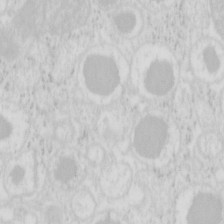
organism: Mouse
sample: Pancreas